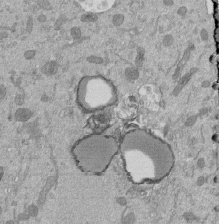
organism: Mouse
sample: ED-1 cell nuclei; centrioles